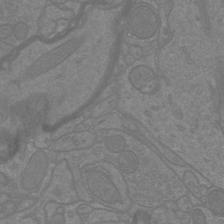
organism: Mouse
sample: Cortical neurons